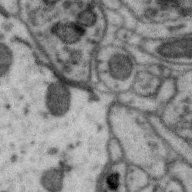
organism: Zebra finch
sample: Brain